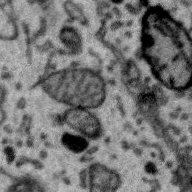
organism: Zebra finch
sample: Brain